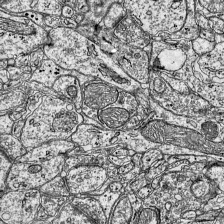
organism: Mouse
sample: Visual Cortex